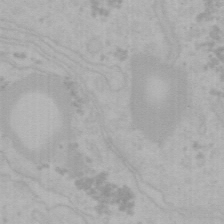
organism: Mouse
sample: Choroid plexus